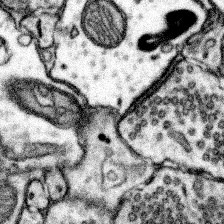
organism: Mouse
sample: Somatosensory cortex neuropil